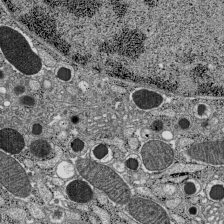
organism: C57BL Mouse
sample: Pancreatic islet